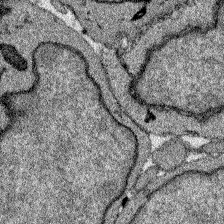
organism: Zebrafish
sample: Larval olfactory bulb